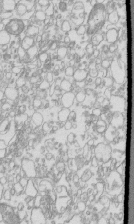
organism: Mouse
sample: Macrophages